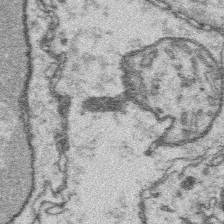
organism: Platynereis dumerilii